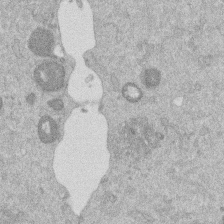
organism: Mouse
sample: Dividing mouse embryo 1 cell stage